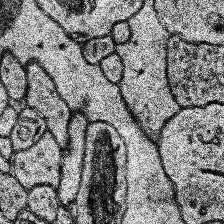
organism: Human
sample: Temporal Lobe